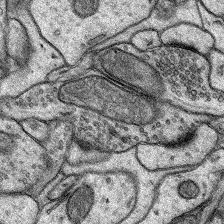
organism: Rat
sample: Hippocampus